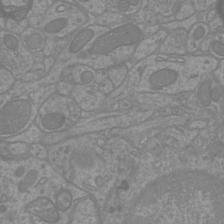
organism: Mouse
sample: Cortical neurons